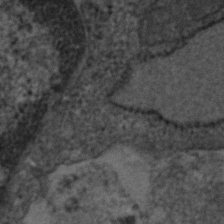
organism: Human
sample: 1205lu cells